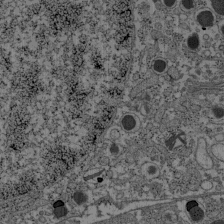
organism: C57BL Mouse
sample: Pancreatic islet